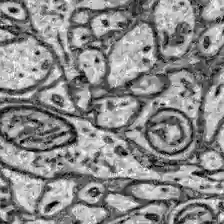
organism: Zebrafish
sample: Brain